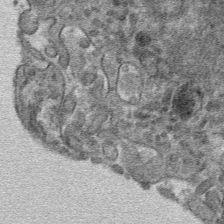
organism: Mouse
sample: Mouse hepatocytes